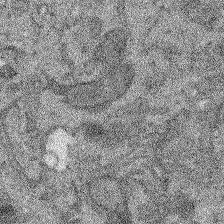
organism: Human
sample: HeLa cells